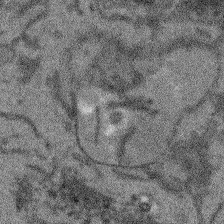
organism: Arabidopsis thaliana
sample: Root tip